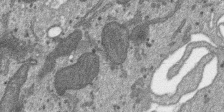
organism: Human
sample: Lung epithelial cells infected with SARS-CoV-2